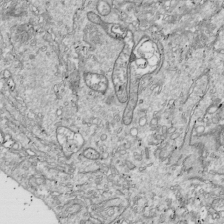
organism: Drosophila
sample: Cell division; meiosis; drosophila spermatocytes